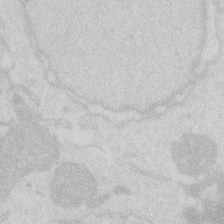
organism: Zebrafish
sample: Macrophage